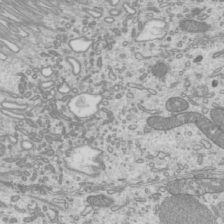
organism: Mouse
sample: Cilia; mouse epididymis